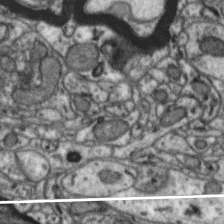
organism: Zebra finch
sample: Brain